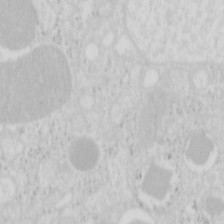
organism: Mouse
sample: Pancreas